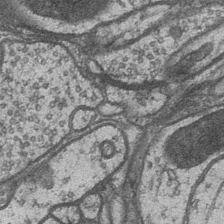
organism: Drosophila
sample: Optic medulla